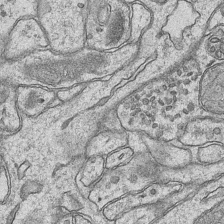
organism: Mouse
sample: CA1 Hippocampus